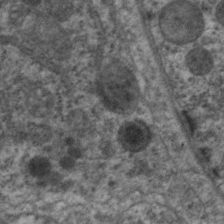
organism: C. elegans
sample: Pharynx